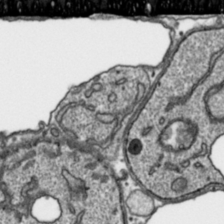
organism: Toxoplasma gondii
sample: Parasites in a vacuole inside a host cell